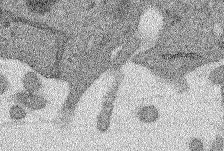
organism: Human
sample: HeLa cells